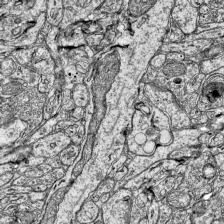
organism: Mouse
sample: Visual Cortex